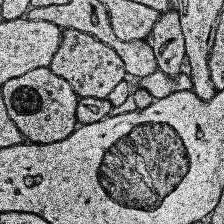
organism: Human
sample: Temporal Lobe